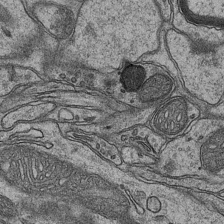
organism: Mouse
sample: CA1 Hippocampus